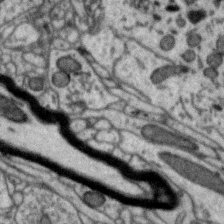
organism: Zebra finch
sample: Brain